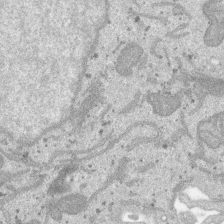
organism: Human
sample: Lung epithelial cells infected with SARS-CoV-2